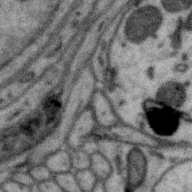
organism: Zebra finch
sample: Brain